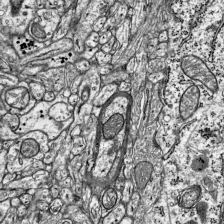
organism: Mouse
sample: Visual Cortex